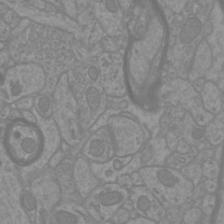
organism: Mouse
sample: Cortical neurons